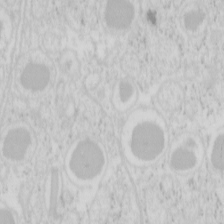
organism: Mouse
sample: Pancreas